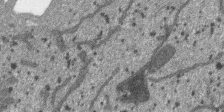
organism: Human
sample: Lung epithelial cells infected with SARS-CoV-2